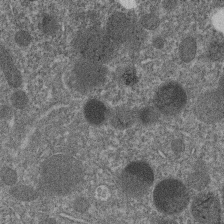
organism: C. elegans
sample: C. elegans embryo early stage